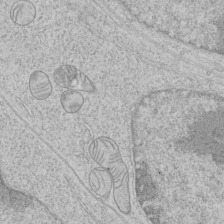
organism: Human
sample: Mitochondria in HCT116 cells